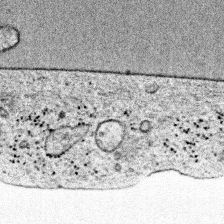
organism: Human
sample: HeLa cells